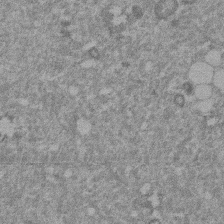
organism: Mouse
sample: Dividing mouse embryo 1 cell stage